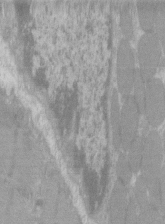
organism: C57BL Mouse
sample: Tibialis anterior muscle cell